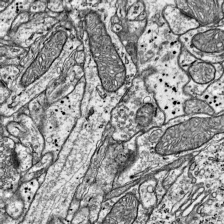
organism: Mouse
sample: Visual Cortex